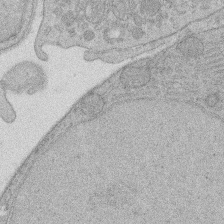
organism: Rat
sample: Salivary granule